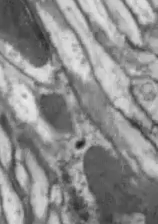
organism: Drosophila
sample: Optic lobe